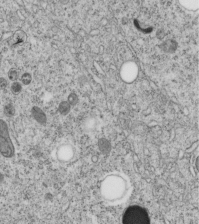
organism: C. elegans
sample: C. elegans embryo early stage